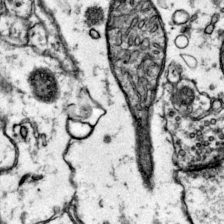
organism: Mouse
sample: Primary visual cortex